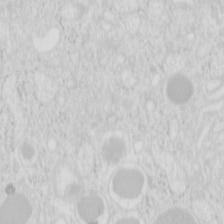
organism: Mouse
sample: Pancreas